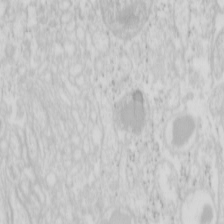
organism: Mouse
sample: Pancreas